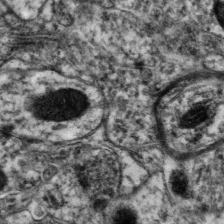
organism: Mouse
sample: Neocortex